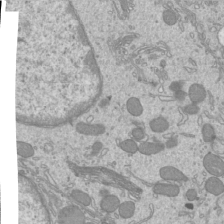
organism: Mouse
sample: Cilia; mouse epididymis